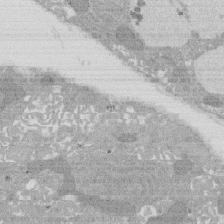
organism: Rat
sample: Salivary granule